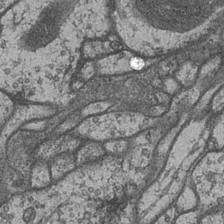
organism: Drosophila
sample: Optic medulla